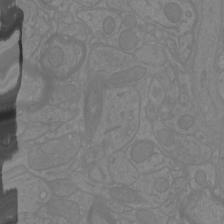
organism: Mouse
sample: Cortical neurons